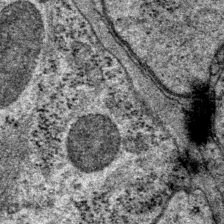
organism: P. pacificus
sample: Pharynx